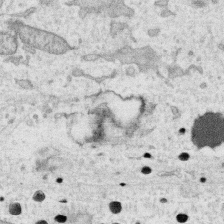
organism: Human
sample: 1205lu cells